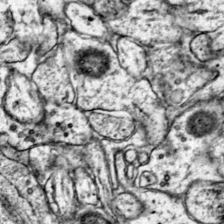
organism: Mouse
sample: Primary visual cortex